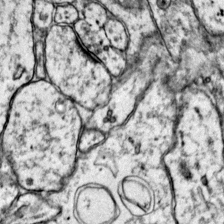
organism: Mouse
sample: Primary visual cortex